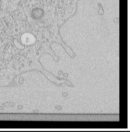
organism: Human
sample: Mitochondria in HCT116 cells